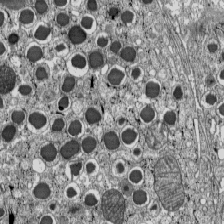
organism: C57BL Mouse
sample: Pancreatic islet